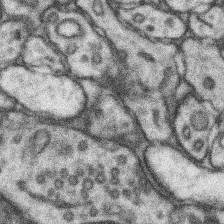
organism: Mouse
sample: Somatosensory cortex neuropil